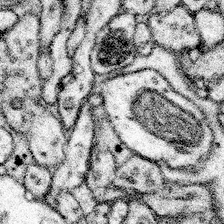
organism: Mouse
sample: Somatosensory cortex neuropil